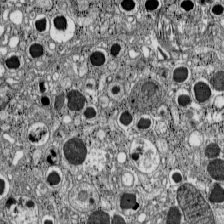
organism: C57BL Mouse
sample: Pancreatic islet